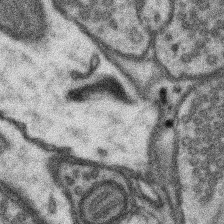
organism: Mouse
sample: Somatosensory cortex neuropil